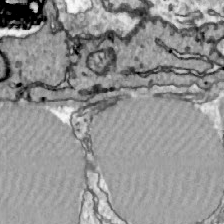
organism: Zebrafish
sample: Actinotrichia fibers